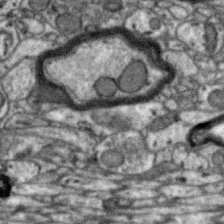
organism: Zebra finch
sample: Brain